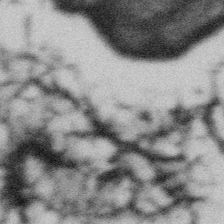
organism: Gemmata obscuriglobus